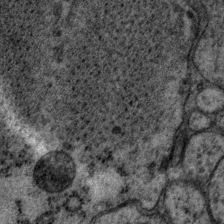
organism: P. pacificus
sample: Pharynx